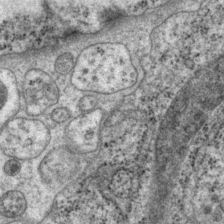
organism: P. pacificus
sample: Pharynx